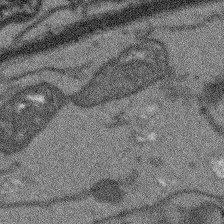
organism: Arabidopsis thaliana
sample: Root tip